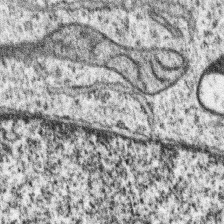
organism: Human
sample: HeLa cells